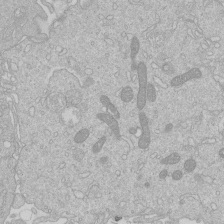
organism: Human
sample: Macrophage cells